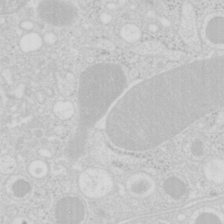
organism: Mouse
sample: Pancreas